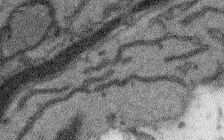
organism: Arabidopsis thaliana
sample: Root tip